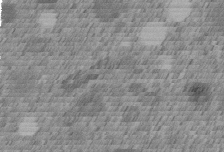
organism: C. elegans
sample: C. elegans embryo early stage